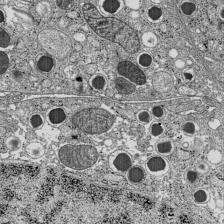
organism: C57BL Mouse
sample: Pancreatic islet